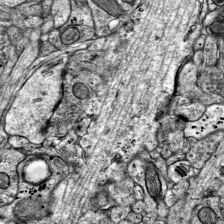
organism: Mouse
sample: Visual Cortex